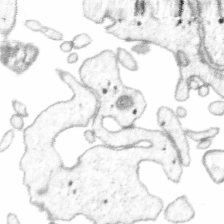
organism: Human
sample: HeLa cells